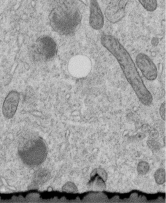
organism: C. elegans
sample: C. elegans embryo early stage